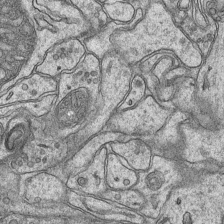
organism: Mouse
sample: CA1 Hippocampus